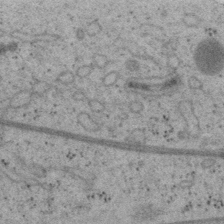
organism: Human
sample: HeLa cells